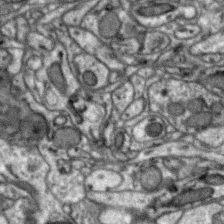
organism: Zebra finch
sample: Brain